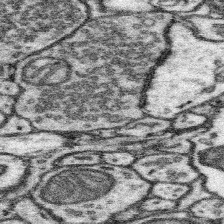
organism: Mouse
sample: Somatosensory cortex neuropil